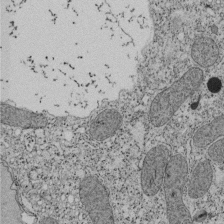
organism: Tetrahymena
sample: Cilia in tetrahymena